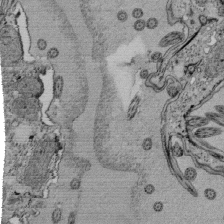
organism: Tetrahymena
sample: Cilia in tetrahymena